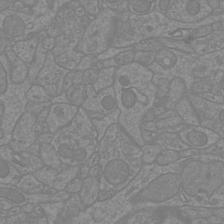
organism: Mouse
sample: Cortical neurons